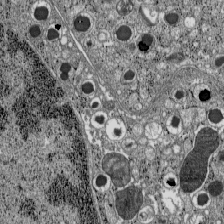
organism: C57BL Mouse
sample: Pancreatic islet